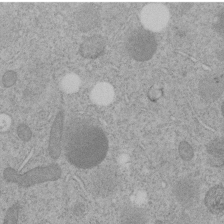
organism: C. elegans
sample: C. elegans embryo early stage